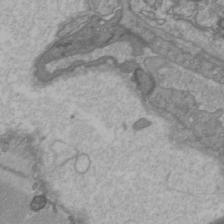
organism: C57BL Mouse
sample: Heart